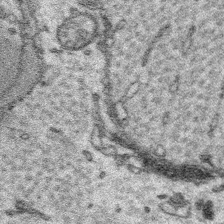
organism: Platynereis dumerilii